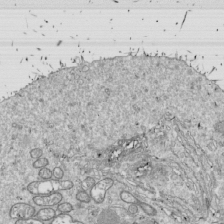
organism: Drosophila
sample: Cell division; meiosis; drosophila spermatocytes